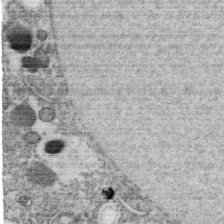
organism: C. elegans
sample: C. elegans oocyte; sperm cells